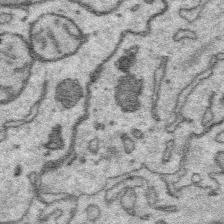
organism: Platynereis dumerilii